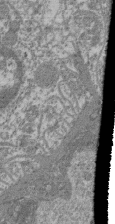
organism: Mouse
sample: Glomerulus